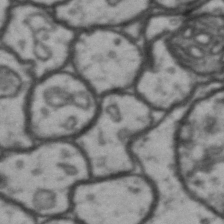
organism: Drosophila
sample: Brain